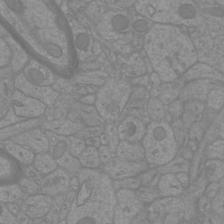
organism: Mouse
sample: Cortical neurons